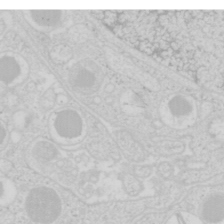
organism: Mouse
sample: Pancreas